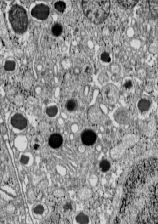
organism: C57BL Mouse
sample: Pancreatic islet